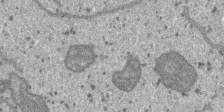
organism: Human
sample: Lung epithelial cells infected with SARS-CoV-2